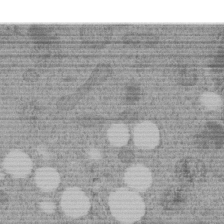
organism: C. elegans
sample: C. elegans embryo early stage